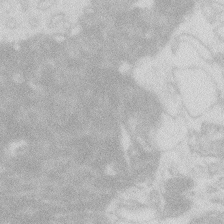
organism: Zebrafish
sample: Macrophage